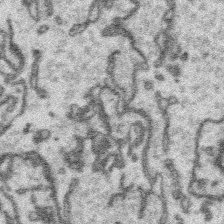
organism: Platynereis dumerilii